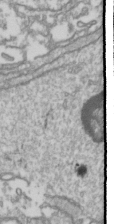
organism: Drosophila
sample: Cell division; meiosis; drosophila spermatocytes